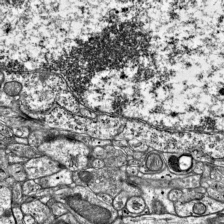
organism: Mouse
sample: Visual Cortex